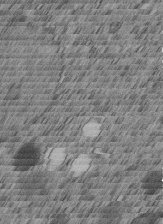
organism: C. elegans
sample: C. elegans embryo early stage